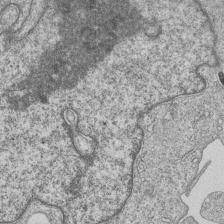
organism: Human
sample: MDA-MB-231 cells